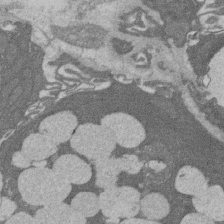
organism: Rat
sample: Salivary granule